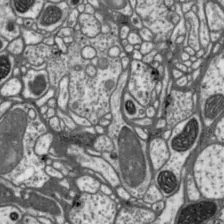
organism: Drosophila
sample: Protocerebral bridge